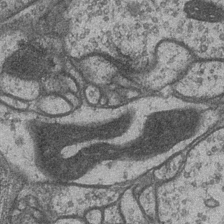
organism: Drosophila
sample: Optic medulla